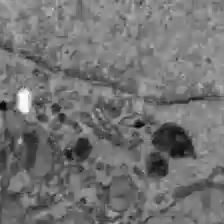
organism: C57BL Mouse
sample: Liver